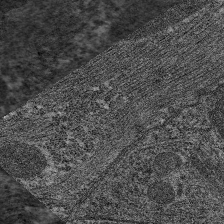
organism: C. elegans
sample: Pharynx